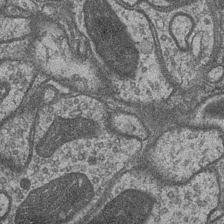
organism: Drosophila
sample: Optic medulla